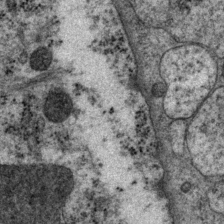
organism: P. pacificus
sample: Pharynx